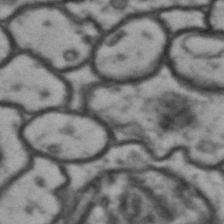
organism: Drosophila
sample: Brain